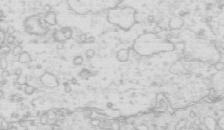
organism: Mouse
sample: Multiciliated cells